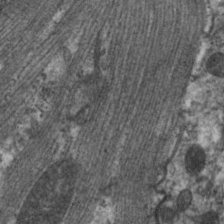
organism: C. elegans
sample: Pharynx